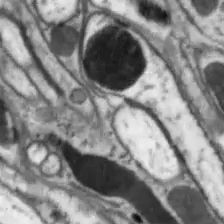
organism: Drosophila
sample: Optic lobe